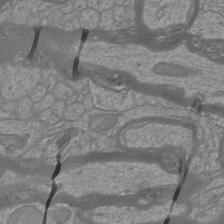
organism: Mouse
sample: Cortical neurons